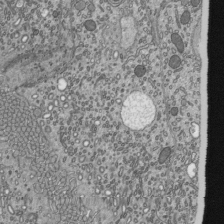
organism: Mouse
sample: Mouse epididymis efferent ductule cilia